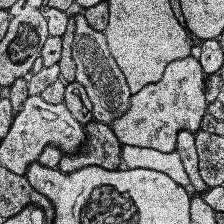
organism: Human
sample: Temporal Lobe